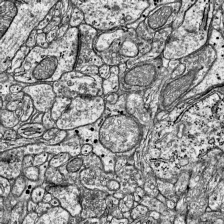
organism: Mouse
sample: Visual Cortex